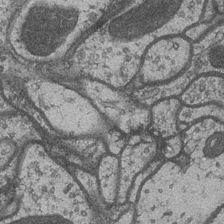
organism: Drosophila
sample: Optic medulla